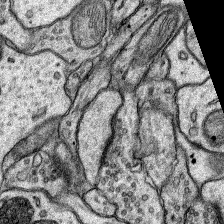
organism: Rat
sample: Hippocampus